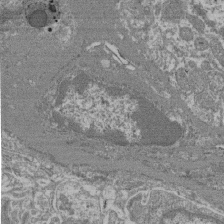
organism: Mouse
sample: Glomerulus